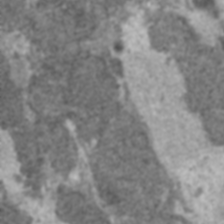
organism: C57BL Mouse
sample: Heart